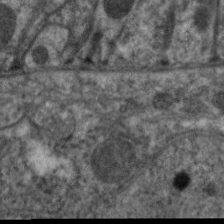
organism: C. elegans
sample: Pharynx